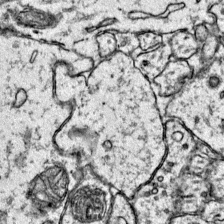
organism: Mouse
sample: Primary visual cortex